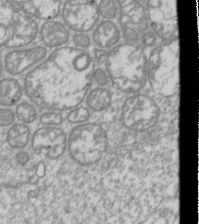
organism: Drosophila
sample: Cell division; meiosis; drosophila spermatocytes